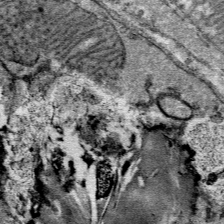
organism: Mouse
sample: Mouse Salivary gland